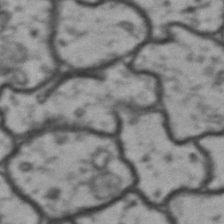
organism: Drosophila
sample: Brain